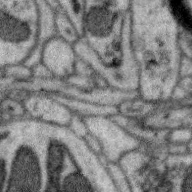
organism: Zebra finch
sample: Brain